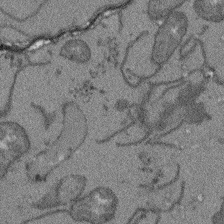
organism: Arabidopsis thaliana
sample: Root tip